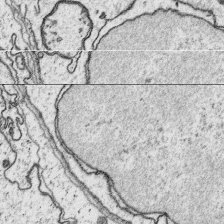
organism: Platynereis dumerilii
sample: Parapodia